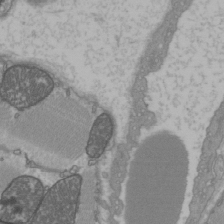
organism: C57BL Mouse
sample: Heart